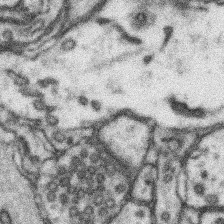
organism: Mouse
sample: Somatosensory cortex neuropil